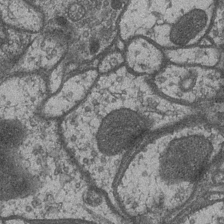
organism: Drosophila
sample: Optic medulla